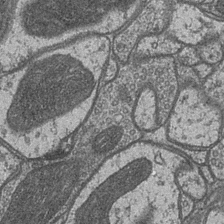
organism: Drosophila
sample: Optic medulla